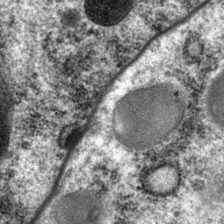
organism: P. pacificus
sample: Pharynx